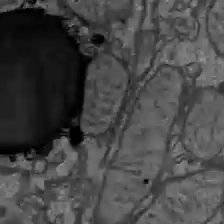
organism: C57BL Mouse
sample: Liver